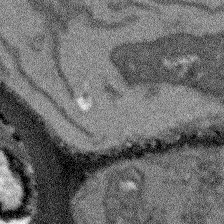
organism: Arabidopsis thaliana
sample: Root tip